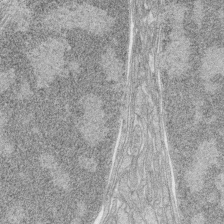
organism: Zebrafish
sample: synaptic ribbons in rod cells and cone cells